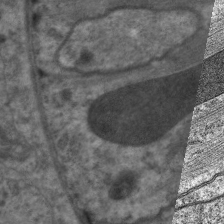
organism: C. elegans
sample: Pharynx